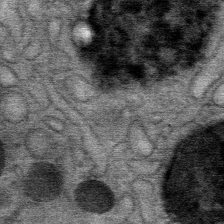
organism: Mouse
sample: Mouse Salivary gland